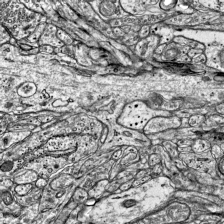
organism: Mouse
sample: Visual Cortex